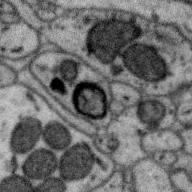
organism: Zebra finch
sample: Brain